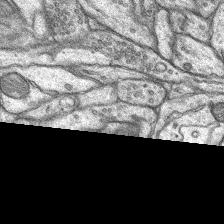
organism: Rat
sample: Hippocampus